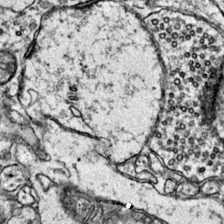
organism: Mouse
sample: Primary visual cortex